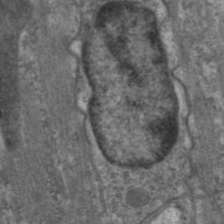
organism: C. elegans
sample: Pharynx